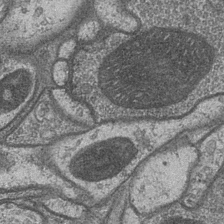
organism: Drosophila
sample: Optic medulla